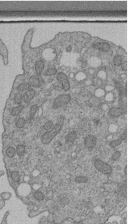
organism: Human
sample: Retinal organoid Rod and Cone cells